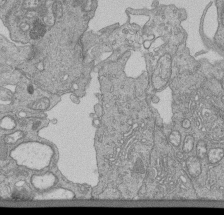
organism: Human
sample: Retinal organoid Rod and Cone cells